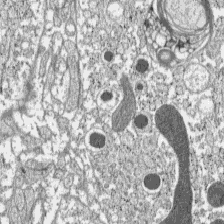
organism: C57BL Mouse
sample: Pancreatic islet